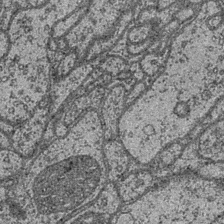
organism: Drosophila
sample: Optic medulla